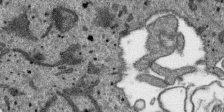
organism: Human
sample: Lung epithelial cells, uninfected (mock) control